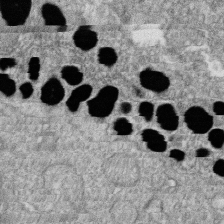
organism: Zebrafish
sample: Cilia; retinal pigment epithelium